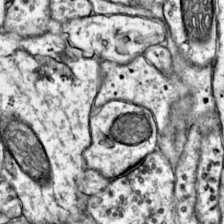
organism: Mouse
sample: Primary visual cortex